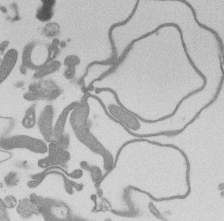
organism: Mouse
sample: Dividing mouse embryo 1 cell stage